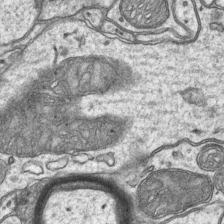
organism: Mouse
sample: CA1 Hippocampus